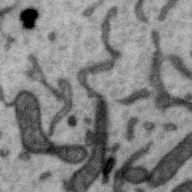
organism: Zebra finch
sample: Brain